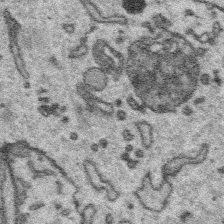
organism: Platynereis dumerilii